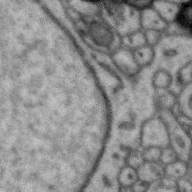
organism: Zebra finch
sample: Brain